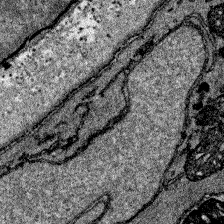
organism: Zebrafish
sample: Larval olfactory bulb